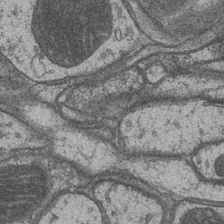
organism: Drosophila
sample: Optic medulla